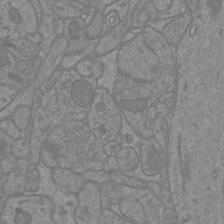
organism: Mouse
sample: Cortical neurons